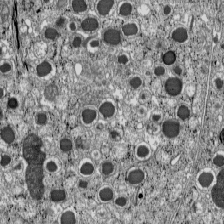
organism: C57BL Mouse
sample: Pancreatic islet